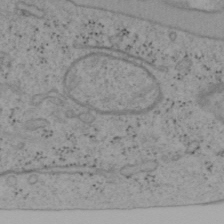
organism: Human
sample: HeLa cells